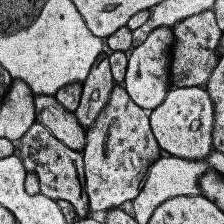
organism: Human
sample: Temporal Lobe